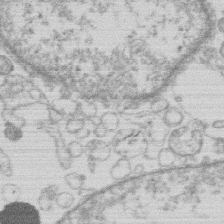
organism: Human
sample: Macrophage cells